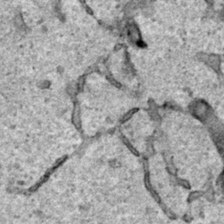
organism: Human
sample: Mitochondria in HCT116 cells